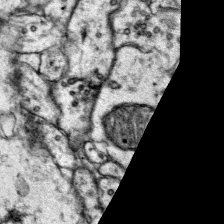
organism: Mouse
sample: Primary visual cortex